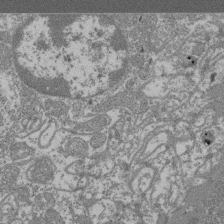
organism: Mouse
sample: Glomerulus